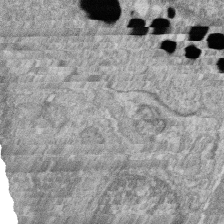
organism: Zebrafish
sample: Cilia; retinal pigment epithelium